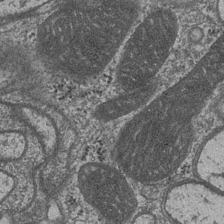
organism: Drosophila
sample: Optic medulla